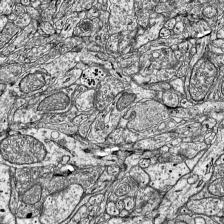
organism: Mouse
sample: Visual Cortex